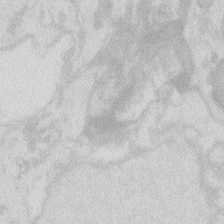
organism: Zebrafish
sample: Macrophage